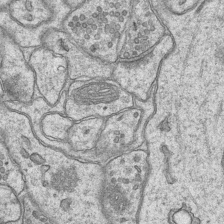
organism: Mouse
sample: CA1 Hippocampus